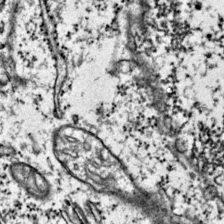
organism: Mouse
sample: Primary visual cortex